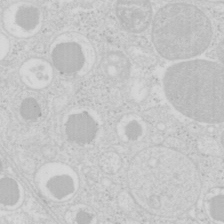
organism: Mouse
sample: Pancreas